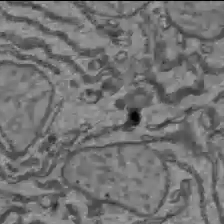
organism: C57BL Mouse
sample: Liver